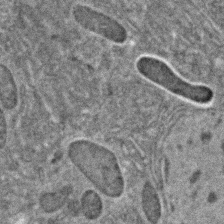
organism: C. elegans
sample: C. elegans embryo